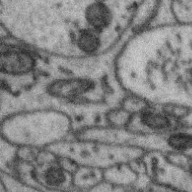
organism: Zebra finch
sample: Brain